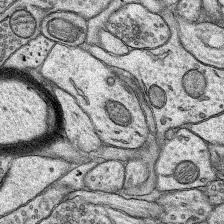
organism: Rat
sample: Hippocampus